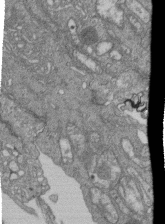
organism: Human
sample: Retinal organoid Rod and Cone cells